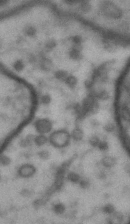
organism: Drosophila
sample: Brain